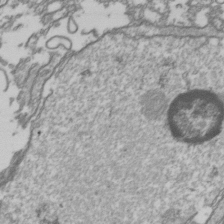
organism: Drosophila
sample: Cell division; meiosis; drosophila spermatocytes